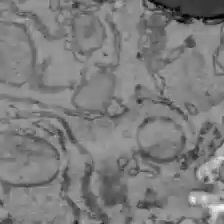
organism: C57BL Mouse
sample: Liver